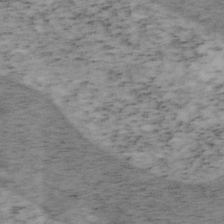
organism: Mouse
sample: OT-I killer T cells with ID8 ovarian cancer cells